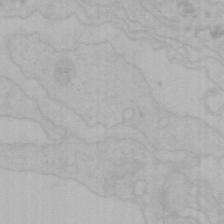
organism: Mouse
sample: Choroid plexus